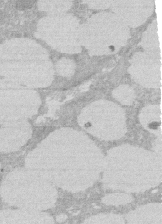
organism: Rat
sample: Salivary granule